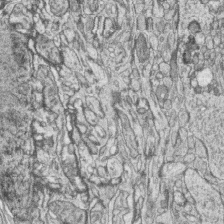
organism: Zebrafish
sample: synaptic ribbons in rod cells and cone cells